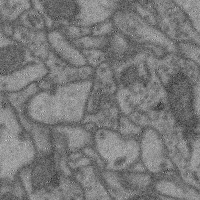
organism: Mouse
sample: Cerebral cortex